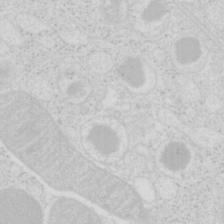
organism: Mouse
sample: Pancreas